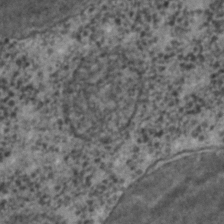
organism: C. elegans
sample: C. elegans embryo